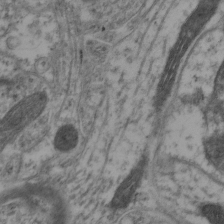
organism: Mouse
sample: Neocortex